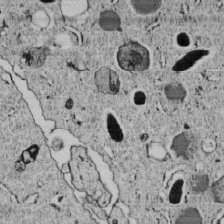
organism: C. elegans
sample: C. elegans embryo early stage